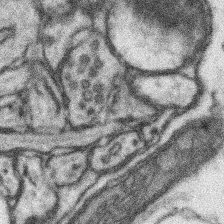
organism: Mouse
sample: Somatosensory cortex neuropil